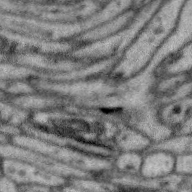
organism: Zebra finch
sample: Brain